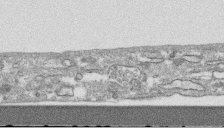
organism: Human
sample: CRL-1474